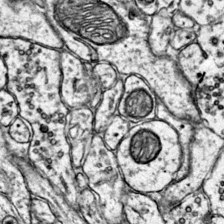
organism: Mouse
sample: Primary visual cortex